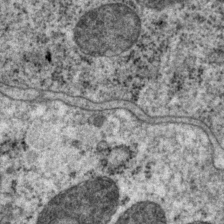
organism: P. pacificus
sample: Pharynx